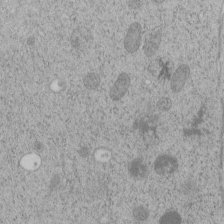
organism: C. elegans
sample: C. elegans embryo early stage